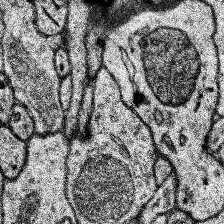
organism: Human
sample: Temporal Lobe